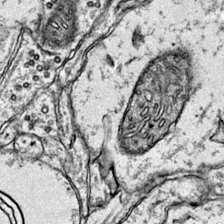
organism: Mouse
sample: Primary visual cortex